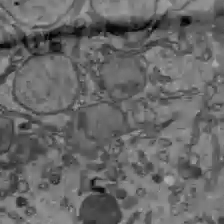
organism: C57BL Mouse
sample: Liver